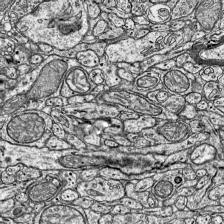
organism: Mouse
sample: Visual Cortex